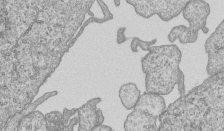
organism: Human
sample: MDA-MB-231 cells